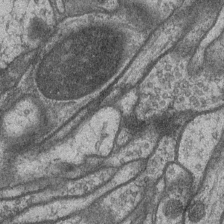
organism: Drosophila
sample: Optic medulla